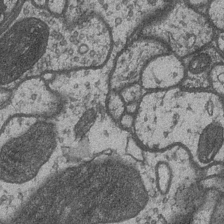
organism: Drosophila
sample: Optic medulla